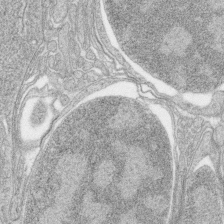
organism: Zebrafish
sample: synaptic ribbons in rod cells and cone cells